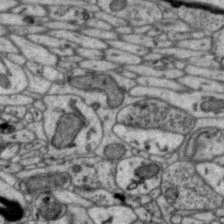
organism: Zebra finch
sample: Brain